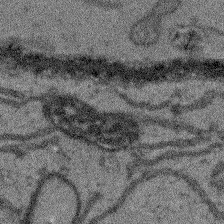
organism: Arabidopsis thaliana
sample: Root tip